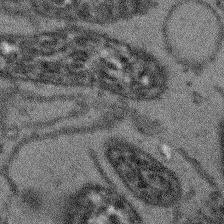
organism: Arabidopsis thaliana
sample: Root tip